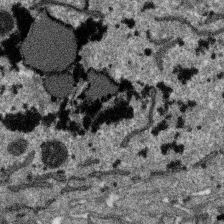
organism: Human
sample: Lung epithelial cells infected with SARS-CoV-2